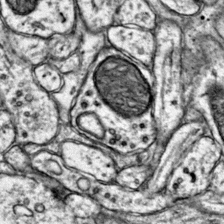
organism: Mouse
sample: Primary visual cortex